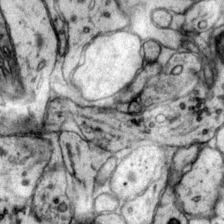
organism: Mouse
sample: Primary visual cortex